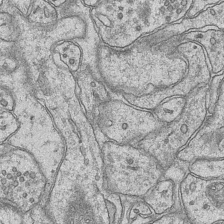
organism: Mouse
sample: CA1 Hippocampus